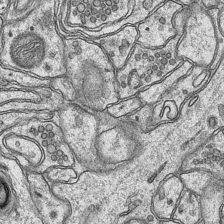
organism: Mouse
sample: CA1 Hippocampus